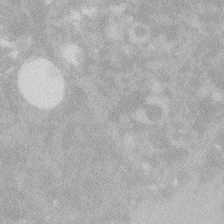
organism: Zebrafish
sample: Macrophage